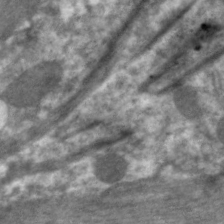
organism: C. elegans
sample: Pharynx